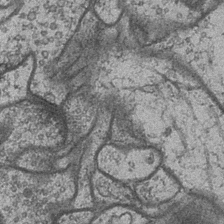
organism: Drosophila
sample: Optic medulla